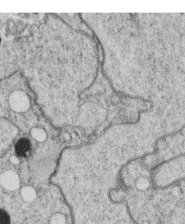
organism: C. elegans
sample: C. elegans oocyte; sperm cells